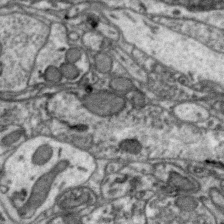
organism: Zebra finch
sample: Brain